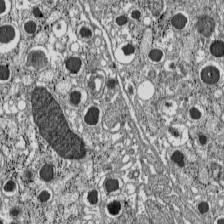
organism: C57BL Mouse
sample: Pancreatic islet